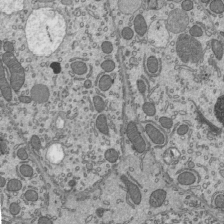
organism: Mouse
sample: Mouse epididymis efferent ductule cilia